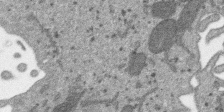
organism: Human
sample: Lung epithelial cells infected with SARS-CoV-2